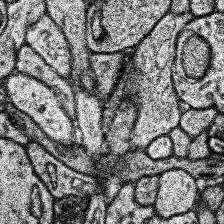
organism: Human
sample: Temporal Lobe